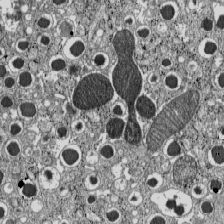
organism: C57BL Mouse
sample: Pancreatic islet